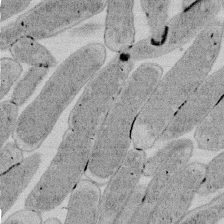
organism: E. coli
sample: Bacterial nucleoid